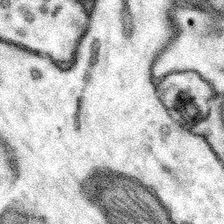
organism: Mouse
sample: Somatosensory cortex neuropil